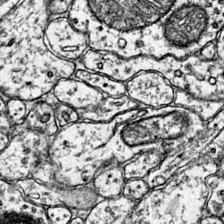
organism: Mouse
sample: Primary visual cortex